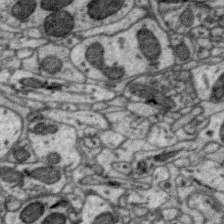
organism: Zebra finch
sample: Brain